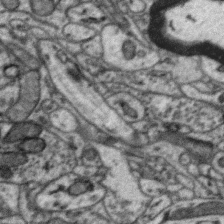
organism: Zebra finch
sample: Brain